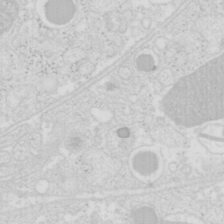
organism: Mouse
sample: Pancreas